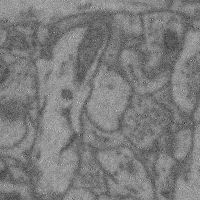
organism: Mouse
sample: Cerebral cortex